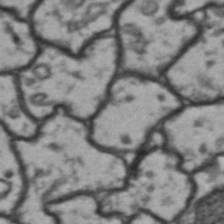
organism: Drosophila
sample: Brain